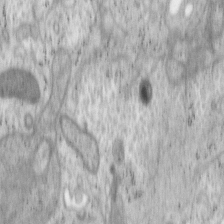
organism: Human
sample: HeLa cells